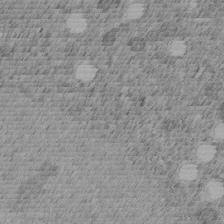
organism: C. elegans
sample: C. elegans embryo early stage